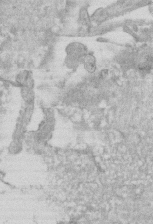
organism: Mouse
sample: Centriole in ependymal cells